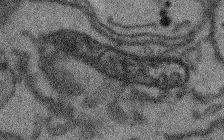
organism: Arabidopsis thaliana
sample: Root tip